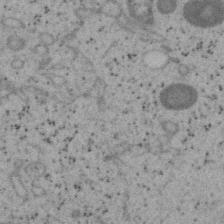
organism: Human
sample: HeLa cells